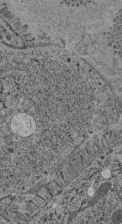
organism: C. elegans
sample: C. elegans pharynx